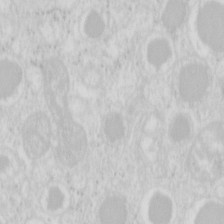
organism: Mouse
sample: Pancreas